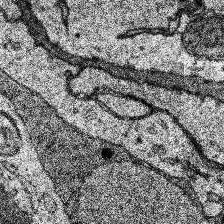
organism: Human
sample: Temporal Lobe